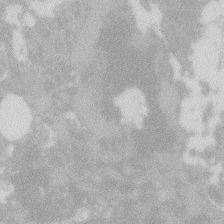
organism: Zebrafish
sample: Macrophage